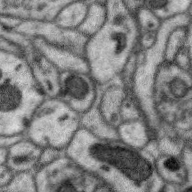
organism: Zebra finch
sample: Brain